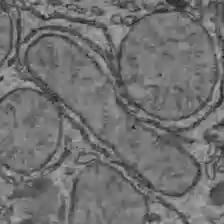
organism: C57BL Mouse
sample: Liver